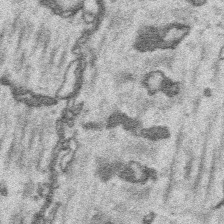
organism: Platynereis dumerilii